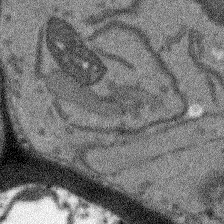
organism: Arabidopsis thaliana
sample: Root tip